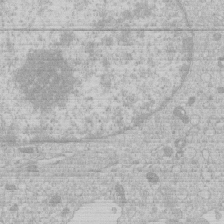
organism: Human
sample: Macrophage cells